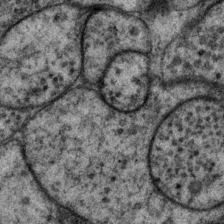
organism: P. pacificus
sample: Pharynx